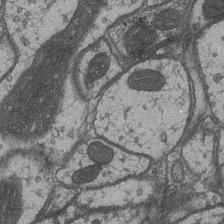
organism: Drosophila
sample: Optic medulla